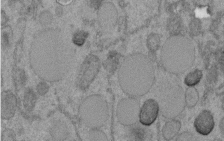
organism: C. elegans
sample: C. elegans embryo early stage